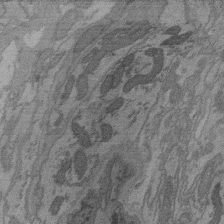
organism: C. elegans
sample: AFD neurons C. elegans